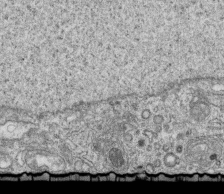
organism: Human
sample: HeLa cell HIV synapse